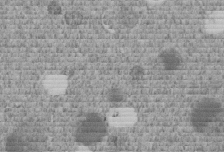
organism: C. elegans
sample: C. elegans embryo early stage